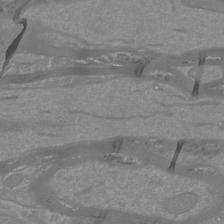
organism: Mouse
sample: Cortical neurons